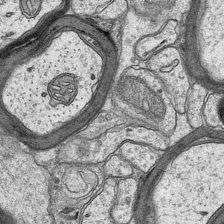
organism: Mouse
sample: CA1 Hippocampus